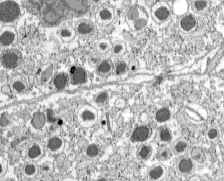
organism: C57BL Mouse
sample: Pancreatic islet